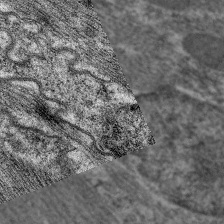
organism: C. elegans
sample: Pharynx